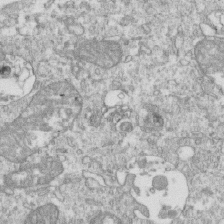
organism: Mouse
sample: Activated OT-1 CD8+ T cells